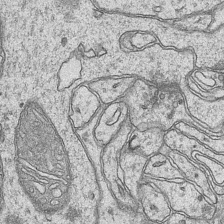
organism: Mouse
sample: CA1 Hippocampus